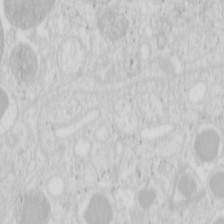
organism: Mouse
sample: Pancreas